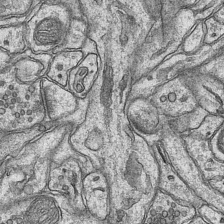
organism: Mouse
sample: CA1 Hippocampus